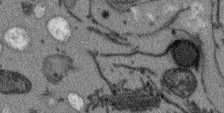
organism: Arabidopsis thaliana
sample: Root tip